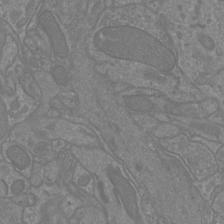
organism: Mouse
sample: Cortical neurons